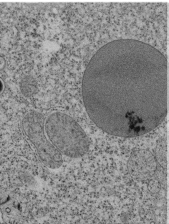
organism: Tetrahymena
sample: Cilia in tetrahymena